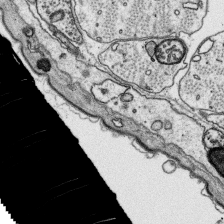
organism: Platynereis dumerilii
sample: Parapodia